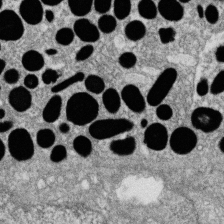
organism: Zebrafish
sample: Cilia; retinal pigment epithelium